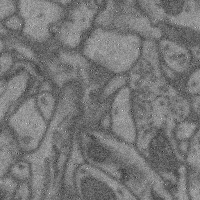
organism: Mouse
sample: Cerebral cortex